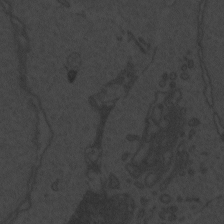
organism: Zebrafish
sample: Macrophage infected with Toxoplasma gondii